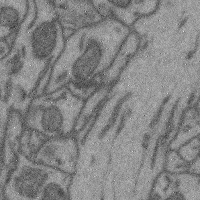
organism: Mouse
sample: Cerebral cortex